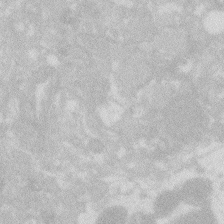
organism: Zebrafish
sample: Macrophage